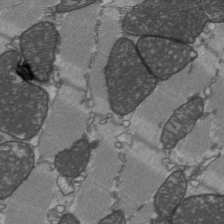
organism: C57BL Mouse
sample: Heart